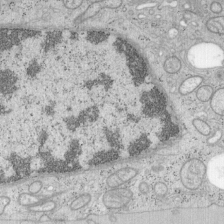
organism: Mouse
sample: OT-I killer T cells with ID8 ovarian cancer cells